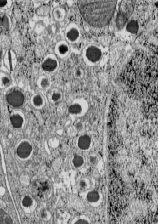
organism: C57BL Mouse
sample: Pancreatic islet